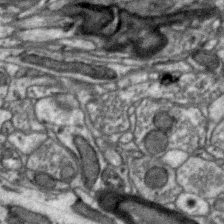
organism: Zebra finch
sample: Brain